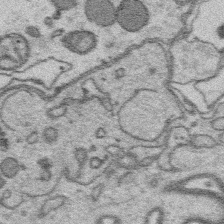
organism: Platynereis dumerilii